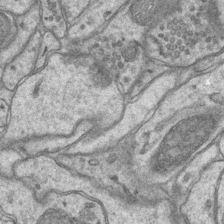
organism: Mouse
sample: CA1 Hippocampus